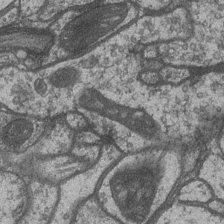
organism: Drosophila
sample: Optic medulla